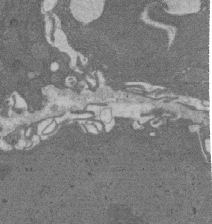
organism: Rat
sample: Salivary granule